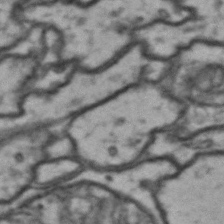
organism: Drosophila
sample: Brain